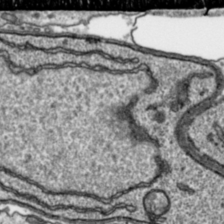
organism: Toxoplasma gondii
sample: Parasites in a vacuole inside a host cell